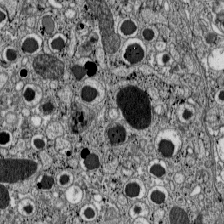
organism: C57BL Mouse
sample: Pancreatic islet